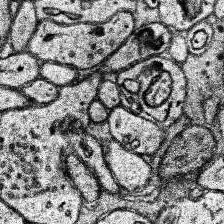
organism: Human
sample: Temporal Lobe